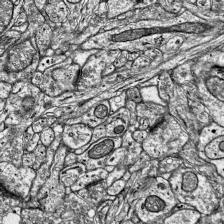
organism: Mouse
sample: Visual Cortex